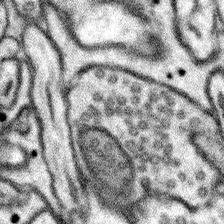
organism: Mouse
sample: Somatosensory cortex neuropil